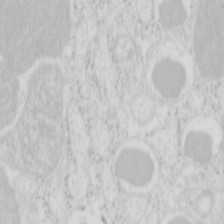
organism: Mouse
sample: Pancreas